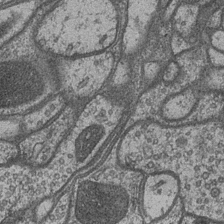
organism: Drosophila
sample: Optic medulla